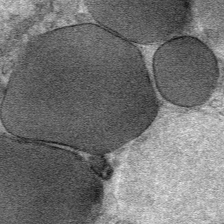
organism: Mouse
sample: Mouse Salivary gland